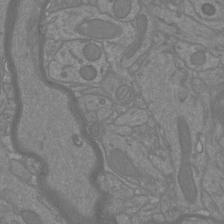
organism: Mouse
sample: Cortical neurons